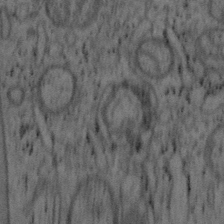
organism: Human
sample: HeLa cells